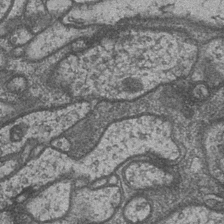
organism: Drosophila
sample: Optic medulla